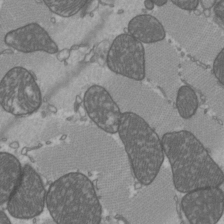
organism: C57BL Mouse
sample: Heart